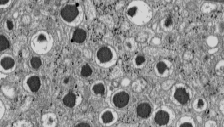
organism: C57BL Mouse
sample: Pancreatic islet